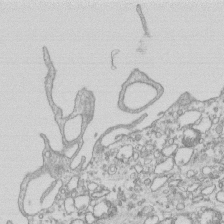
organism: Mouse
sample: Macrophages